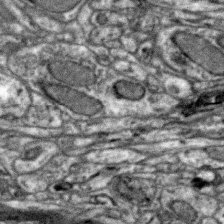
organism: Zebra finch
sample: Brain